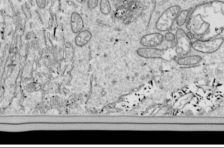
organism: Drosophila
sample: Cell division; meiosis; drosophila spermatocytes